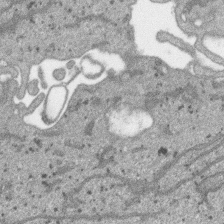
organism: Human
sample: Lung epithelial cells infected with SARS-CoV-2